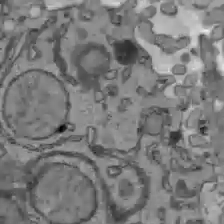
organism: C57BL Mouse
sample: Liver